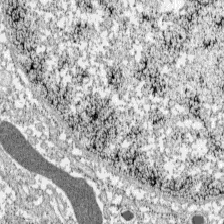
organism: C57BL Mouse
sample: Pancreatic islet